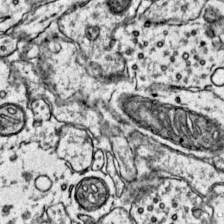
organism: Mouse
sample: Primary visual cortex